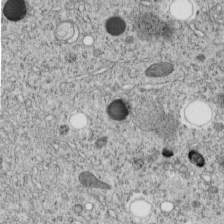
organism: C. elegans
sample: C. elegans embryo early stage